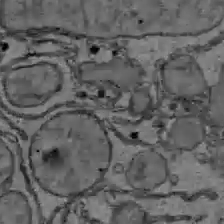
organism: C57BL Mouse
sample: Liver